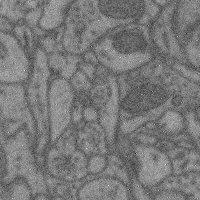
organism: Mouse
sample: Cerebral cortex